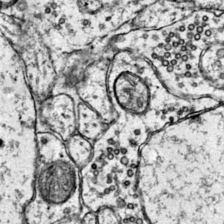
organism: Mouse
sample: Primary visual cortex